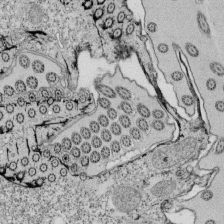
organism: Tetrahymena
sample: Cilia in tetrahymena